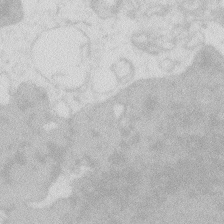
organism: Zebrafish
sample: Macrophage